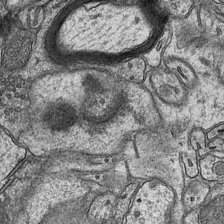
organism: Mouse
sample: CA1 Hippocampus